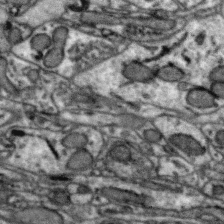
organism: Zebra finch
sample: Brain